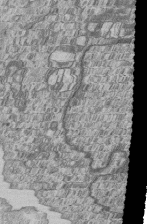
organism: Human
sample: MDA-MB-231 cells